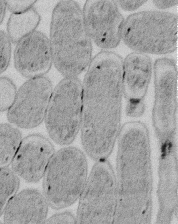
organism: E. coli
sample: Bacterial nucleoid